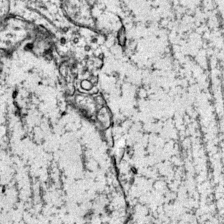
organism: Mouse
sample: Primary visual cortex